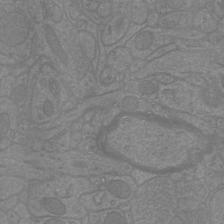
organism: Mouse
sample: Cortical neurons